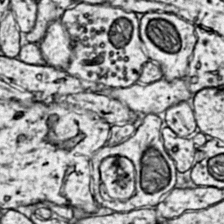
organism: Mouse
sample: Primary visual cortex